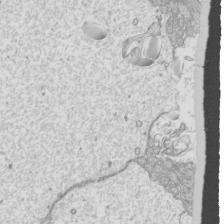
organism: Mouse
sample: Cilia; mouse epididymis